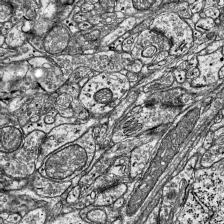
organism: Mouse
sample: Visual Cortex